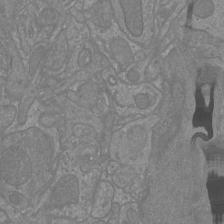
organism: Mouse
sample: Cortical neurons